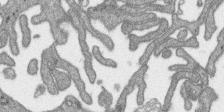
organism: Human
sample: Lung epithelial cells infected with SARS-CoV-2